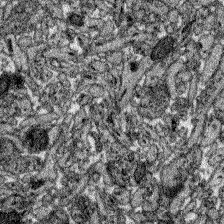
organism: Zebrafish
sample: Larval olfactory bulb